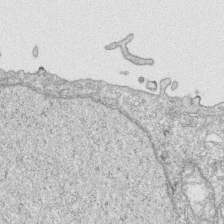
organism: Human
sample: HeLa cell HIV synapse